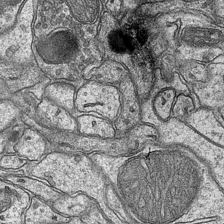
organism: Mouse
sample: CA1 Hippocampus